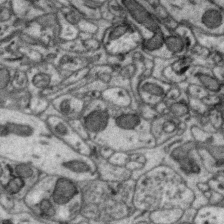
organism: Zebra finch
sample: Brain